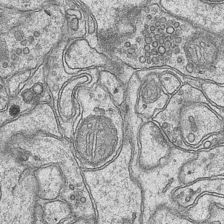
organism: Mouse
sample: CA1 Hippocampus